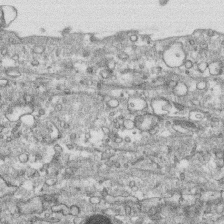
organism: Human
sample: CRL-1474